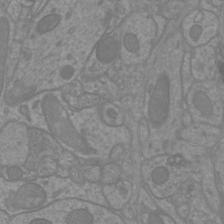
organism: Mouse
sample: Cortical neurons